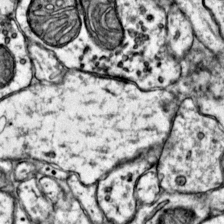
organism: Mouse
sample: Primary visual cortex